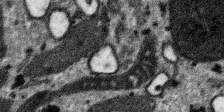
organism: Human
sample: Lung epithelial cells infected with SARS-CoV-2